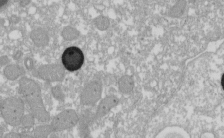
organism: Xenopus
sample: Cilia; centrioles in frog embryo cells